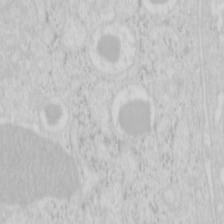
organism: Mouse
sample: Pancreas